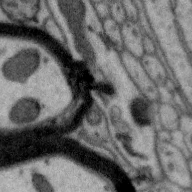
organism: Zebra finch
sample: Brain